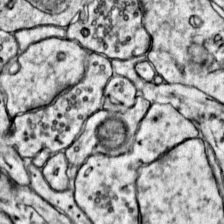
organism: Mouse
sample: Primary visual cortex